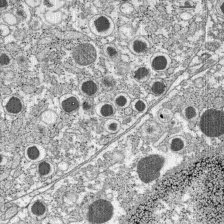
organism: C57BL Mouse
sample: Pancreatic islet